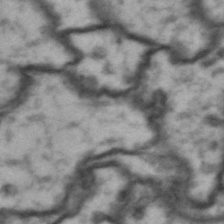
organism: Drosophila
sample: Brain